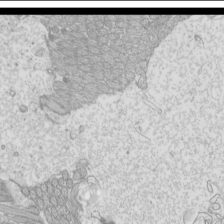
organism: Mouse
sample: Cilia; mouse epididymis